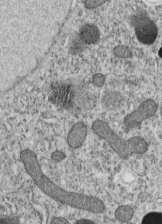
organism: C. elegans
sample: C. elegans embryo early stage